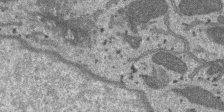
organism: Human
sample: Lung epithelial cells infected with SARS-CoV-2